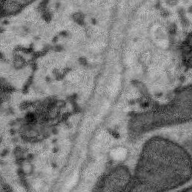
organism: Zebra finch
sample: Brain